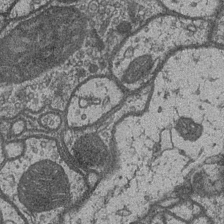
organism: Drosophila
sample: Optic medulla